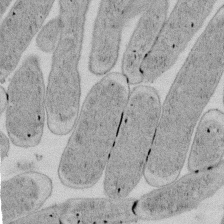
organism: E. coli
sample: Bacterial nucleoid